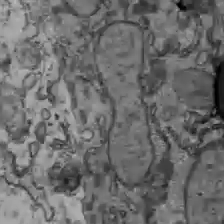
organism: C57BL Mouse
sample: Liver